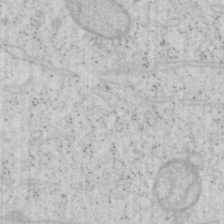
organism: Human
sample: HeLa cells